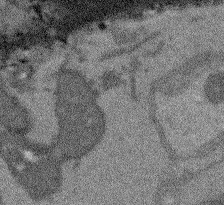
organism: Arabidopsis thaliana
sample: Root tip